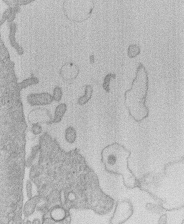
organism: Human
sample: Macrophage cells